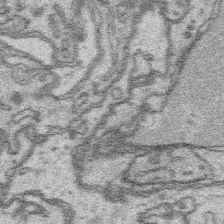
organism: Platynereis dumerilii